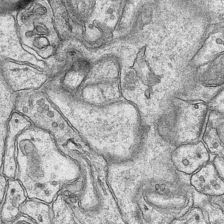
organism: Mouse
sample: CA1 Hippocampus